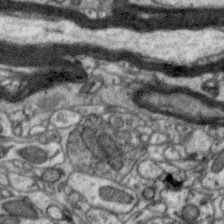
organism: Zebra finch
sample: Brain